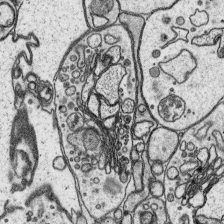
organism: Platynereis dumerilii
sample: Parapodia